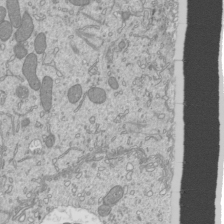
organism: Mouse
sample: Cilia; mouse epididymis